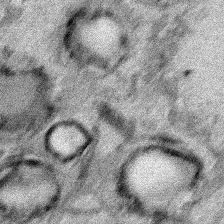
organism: Human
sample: Mitochondria in HCT116 cells